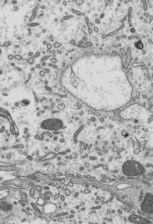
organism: Mouse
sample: Mouse epididymis efferent ductule cilia